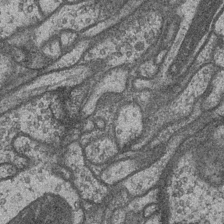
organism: Drosophila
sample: Optic medulla